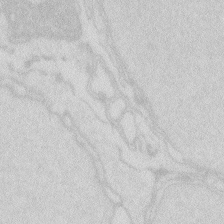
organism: Zebrafish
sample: Macrophage